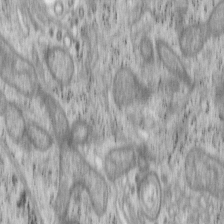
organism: Human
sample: HeLa cells